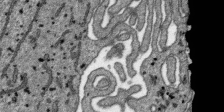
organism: Human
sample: Lung epithelial cells, uninfected (mock) control